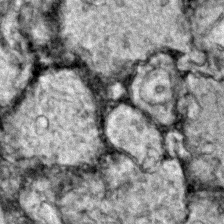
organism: Zebrafish